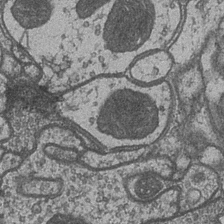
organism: Drosophila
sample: Optic medulla